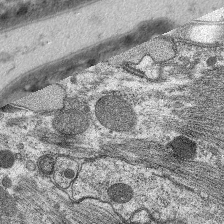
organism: C. elegans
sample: Pharynx